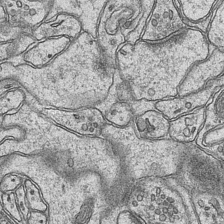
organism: Mouse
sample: CA1 Hippocampus